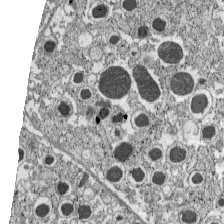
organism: C57BL Mouse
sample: Pancreatic islet